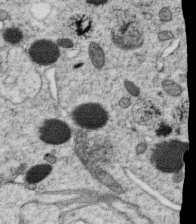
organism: C. elegans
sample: C. elegans oocyte; sperm cells